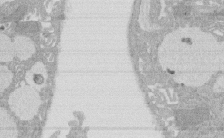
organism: Rat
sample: Salivary granule